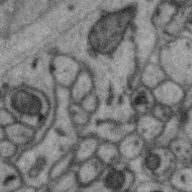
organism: Zebra finch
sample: Brain